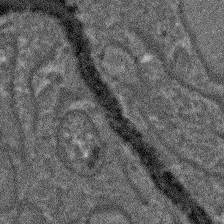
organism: Arabidopsis thaliana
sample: Root tip